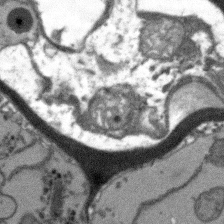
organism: Arabidopsis thaliana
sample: Root tip